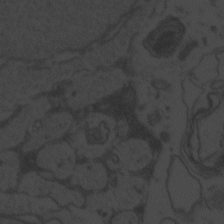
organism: Zebrafish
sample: Macrophage infected with Toxoplasma gondii